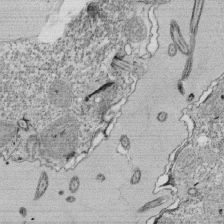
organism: Tetrahymena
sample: Cilia in tetrahymena